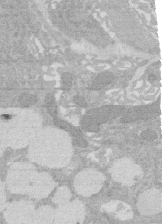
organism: Rat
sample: Salivary granule